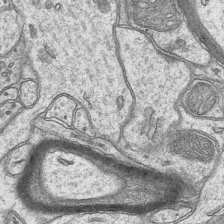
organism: Mouse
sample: CA1 Hippocampus